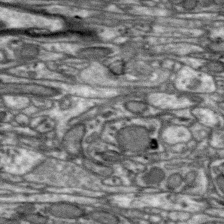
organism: Zebra finch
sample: Brain